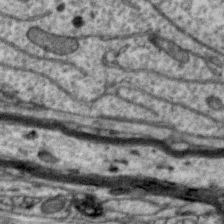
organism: Zebra finch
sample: Brain